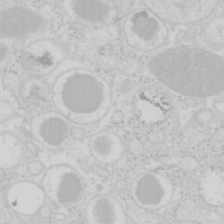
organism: Mouse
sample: Pancreas